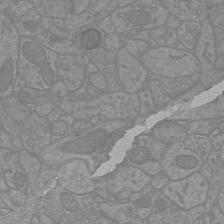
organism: Mouse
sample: Cortical neurons